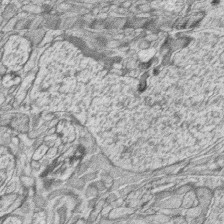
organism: Zebrafish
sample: synaptic ribbons in rod cells and cone cells